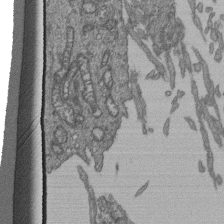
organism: Human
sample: Retinal organoid Rod and Cone cells